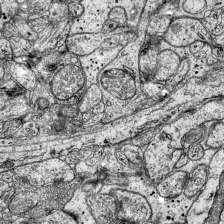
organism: Mouse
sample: Visual Cortex